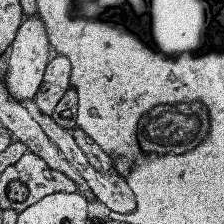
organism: Human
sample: Temporal Lobe